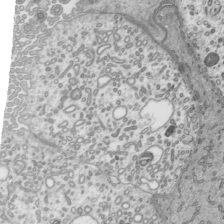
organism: Mouse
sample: Mouse epididymis efferent ductule cilia